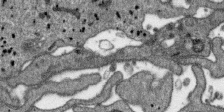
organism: Human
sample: Lung epithelial cells, uninfected (mock) control